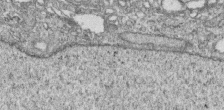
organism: Human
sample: HeLa cell HIV synapse